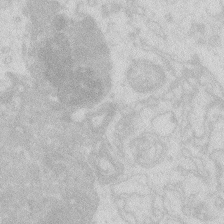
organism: Zebrafish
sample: Macrophage